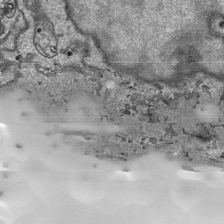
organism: Human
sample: Mitochondria in HCT116 cells